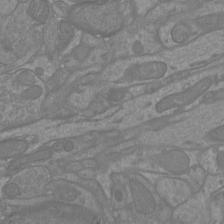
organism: Mouse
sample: Cortical neurons